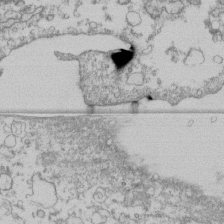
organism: Human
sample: Fibroblast cells